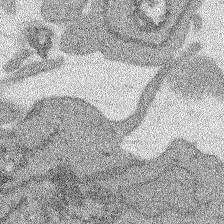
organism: Human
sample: HeLa cells